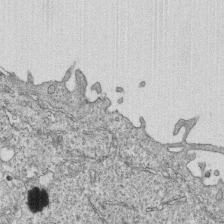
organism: Human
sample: HeLa cell HIV synapse